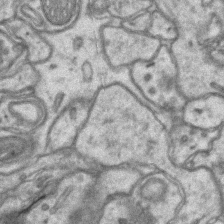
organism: Mouse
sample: CA1 Hippocampus